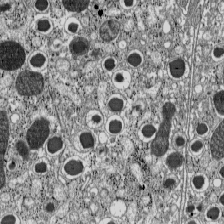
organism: C57BL Mouse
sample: Pancreatic islet